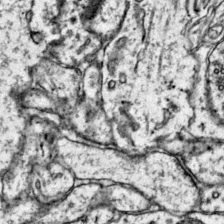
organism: Mouse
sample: Primary visual cortex